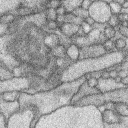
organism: Rabbit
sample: Retina